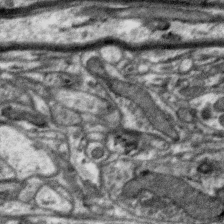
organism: Zebra finch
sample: Brain